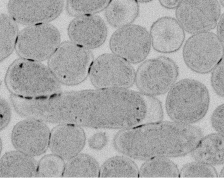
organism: E. coli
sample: Bacterial nucleoid